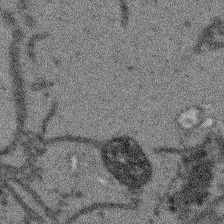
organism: Arabidopsis thaliana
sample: Root tip